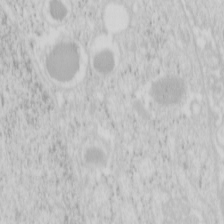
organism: Mouse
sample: Pancreas